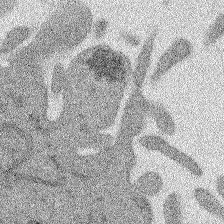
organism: Human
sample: HeLa cells